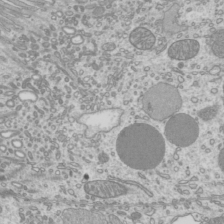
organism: Mouse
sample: Cilia; mouse epididymis